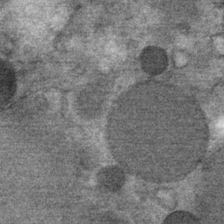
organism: Mouse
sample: Mouse Salivary gland